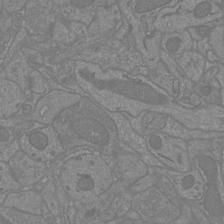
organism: Mouse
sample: Cortical neurons